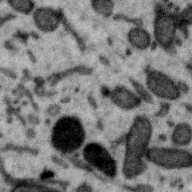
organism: Zebra finch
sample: Brain